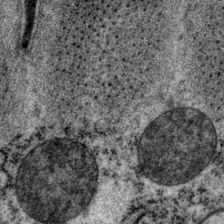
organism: P. pacificus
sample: Pharynx